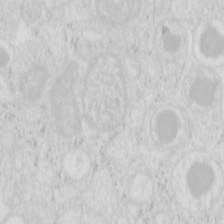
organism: Mouse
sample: Pancreas